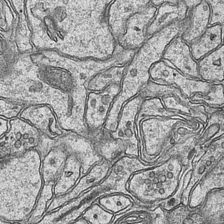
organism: Mouse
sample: CA1 Hippocampus